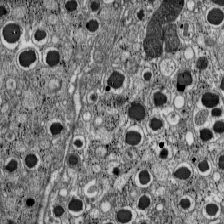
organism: C57BL Mouse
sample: Pancreatic islet